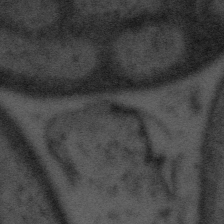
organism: Tuwongella immobilis